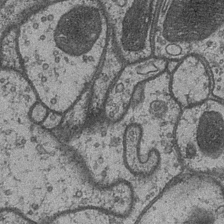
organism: Drosophila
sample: Optic medulla